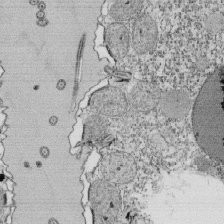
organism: Tetrahymena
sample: Cilia in tetrahymena